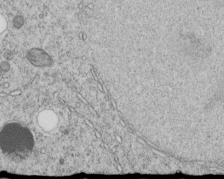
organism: C. elegans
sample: C. elegans embryo early stage